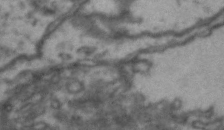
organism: Drosophila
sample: Brain